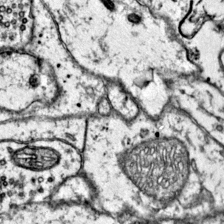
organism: Mouse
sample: Primary visual cortex